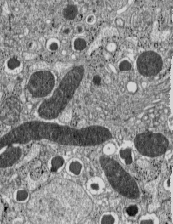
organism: C57BL Mouse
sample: Pancreatic islet